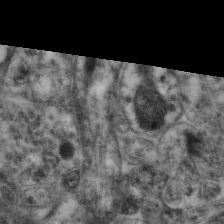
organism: Mouse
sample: Neocortex